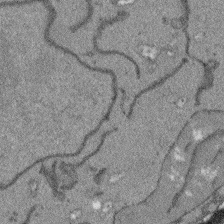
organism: Arabidopsis thaliana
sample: Root tip